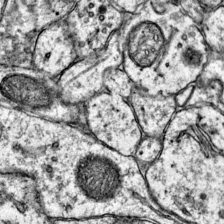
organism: Mouse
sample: Primary visual cortex